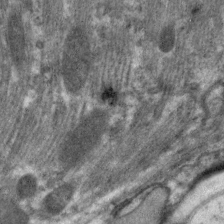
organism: C. elegans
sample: Pharynx